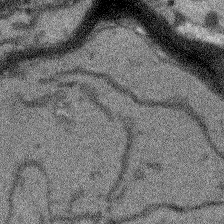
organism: Arabidopsis thaliana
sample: Root tip